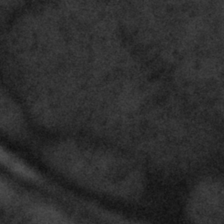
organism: Tuwongella immobilis